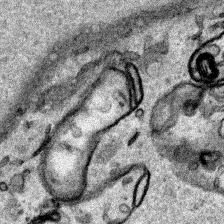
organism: Human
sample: Mitochondria in HCT116 cells